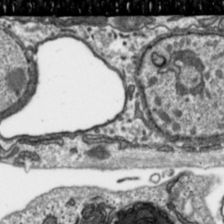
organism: Toxoplasma gondii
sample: Parasites in a vacuole inside a host cell